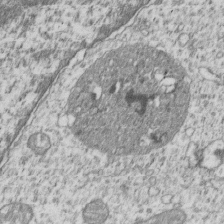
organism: Human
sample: MDA-MB-231 cells